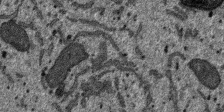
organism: Human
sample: Lung epithelial cells infected with SARS-CoV-2